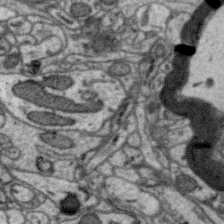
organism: Zebra finch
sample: Brain